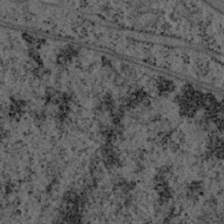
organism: Human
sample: HeLa cells